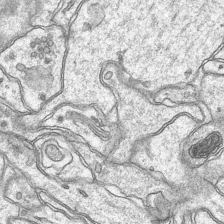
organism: Mouse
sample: CA1 Hippocampus